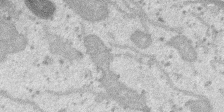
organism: Human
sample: Lung epithelial cells infected with SARS-CoV-2